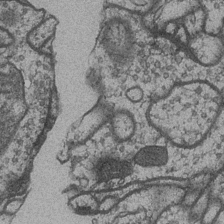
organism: Drosophila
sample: Optic medulla